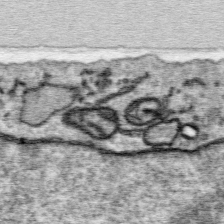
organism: Human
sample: HeLa cells